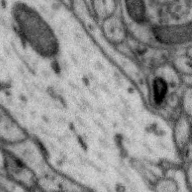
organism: Zebra finch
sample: Brain